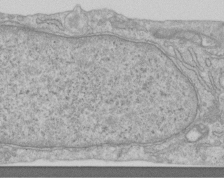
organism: Human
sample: Centriole in RPE cells